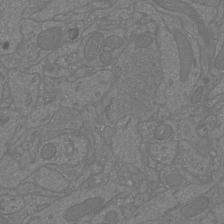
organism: Mouse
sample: Cortical neurons